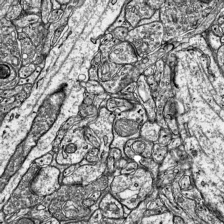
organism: Mouse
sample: Visual Cortex